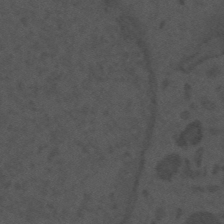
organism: Mouse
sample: Suprachiasmatic nucleus